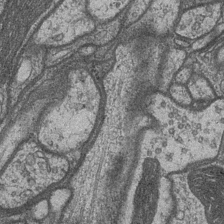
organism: Drosophila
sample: Optic medulla